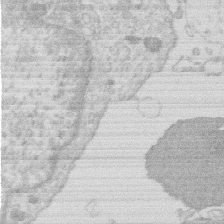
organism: Human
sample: Macrophage cells